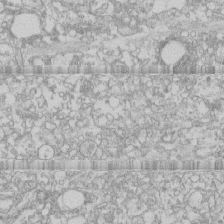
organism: Human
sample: CRL-1474